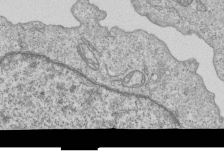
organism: Human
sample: MDA-MB-231 cells